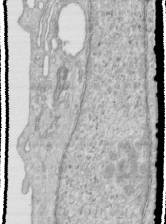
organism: Human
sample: Centriole in RPE cells